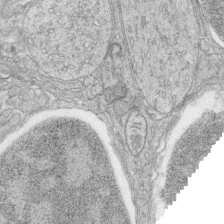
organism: Zebrafish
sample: synaptic ribbons in rod cells and cone cells